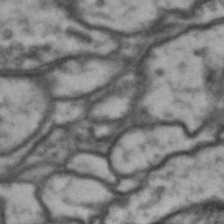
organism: Drosophila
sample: Brain